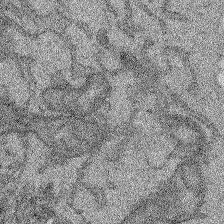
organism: Human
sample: HeLa cells